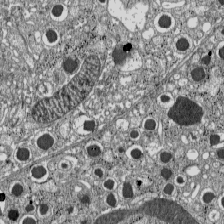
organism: C57BL Mouse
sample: Pancreatic islet